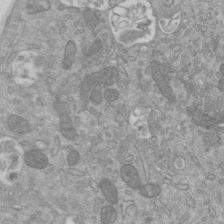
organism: Mouse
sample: ED-1 cell nuclei; centrioles